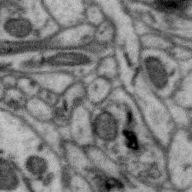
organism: Zebra finch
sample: Brain